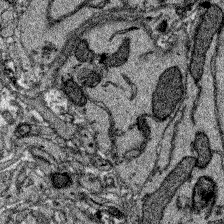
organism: Zebrafish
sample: Larval olfactory bulb